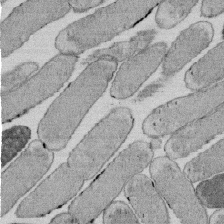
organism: E. coli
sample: Bacterial nucleoid